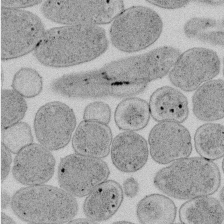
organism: E. coli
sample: Bacterial nucleoid